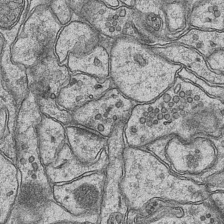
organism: Mouse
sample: CA1 Hippocampus